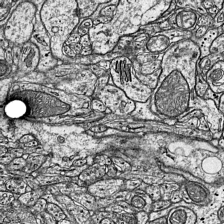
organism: Mouse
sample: Visual Cortex